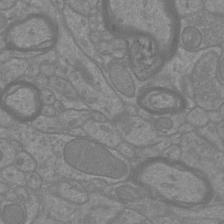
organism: Mouse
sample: Cortical neurons